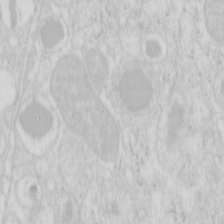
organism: Mouse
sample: Pancreas